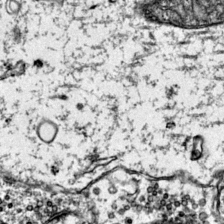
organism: Mouse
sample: Primary visual cortex